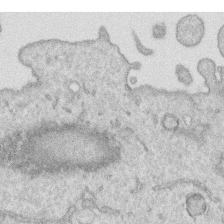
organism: Human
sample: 1205lu cells